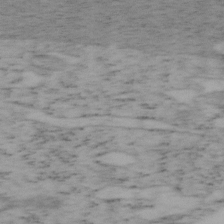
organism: Mouse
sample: OT-I killer T cells with ID8 ovarian cancer cells